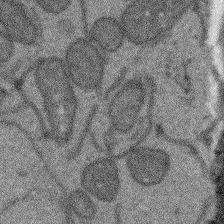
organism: Arabidopsis thaliana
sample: Root tip